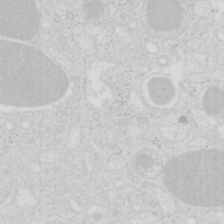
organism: Mouse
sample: Pancreas